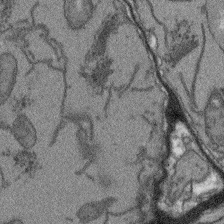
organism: Arabidopsis thaliana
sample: Root tip